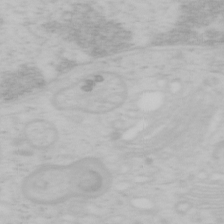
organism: Mouse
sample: OT-I killer T cells with ID8 ovarian cancer cells